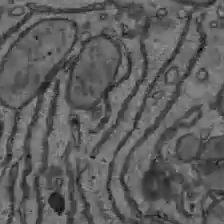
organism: C57BL Mouse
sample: Liver